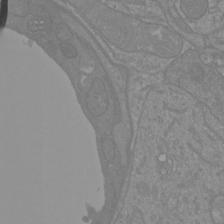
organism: Mouse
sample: Cortical neurons